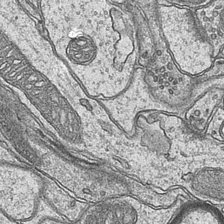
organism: Mouse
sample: CA1 Hippocampus